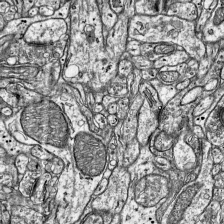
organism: Mouse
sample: Visual Cortex